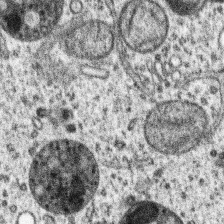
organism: Human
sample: HeLa cells